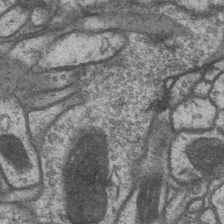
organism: Drosophila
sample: Optic medulla